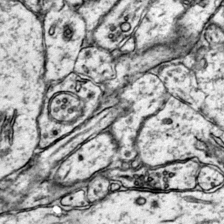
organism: Mouse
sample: Primary visual cortex